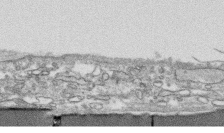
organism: Human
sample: CRL-1474